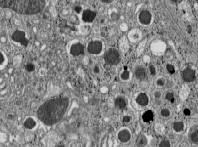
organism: C57BL Mouse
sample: Pancreatic islet